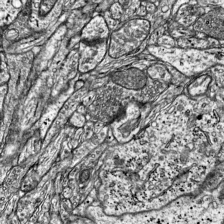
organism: Mouse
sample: Visual Cortex